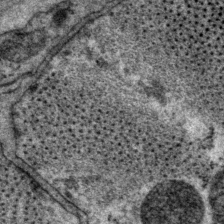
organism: P. pacificus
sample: Pharynx